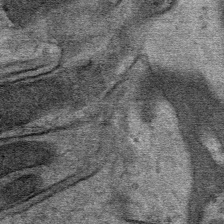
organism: Mouse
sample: Mouse Salivary gland